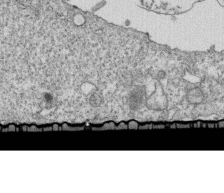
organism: Human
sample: HeLa cell HIV synapse